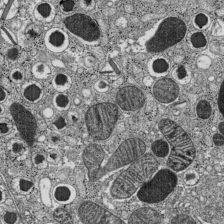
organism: C57BL Mouse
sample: Pancreatic islet